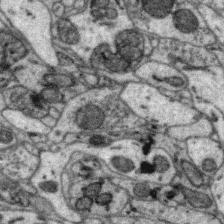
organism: Zebra finch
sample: Brain